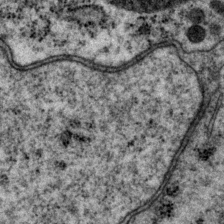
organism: P. pacificus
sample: Pharynx